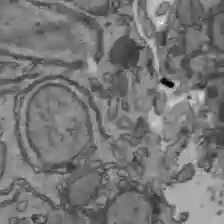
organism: C57BL Mouse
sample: Liver